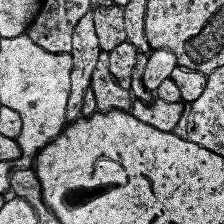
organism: Human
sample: Temporal Lobe